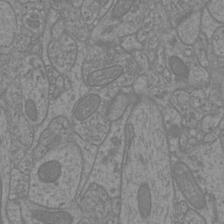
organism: Mouse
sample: Cortical neurons